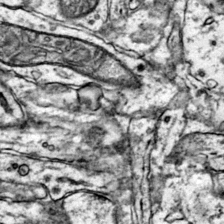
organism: Mouse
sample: Primary visual cortex